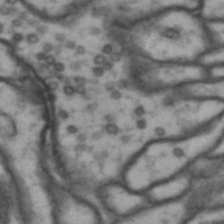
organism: Drosophila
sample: Brain